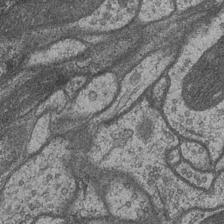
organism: Drosophila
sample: Optic medulla